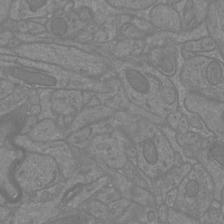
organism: Mouse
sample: Cortical neurons